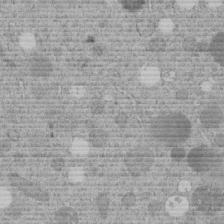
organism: C. elegans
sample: C. elegans embryo early stage